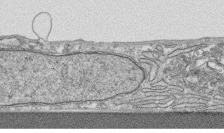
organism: Human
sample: CRL-1474